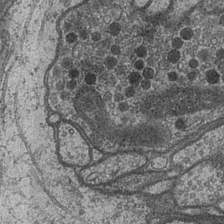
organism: Drosophila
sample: Optic medulla